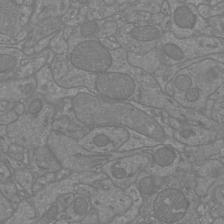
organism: Mouse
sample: Cortical neurons